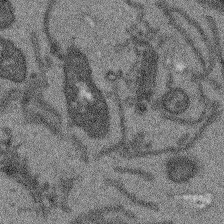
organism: Arabidopsis thaliana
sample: Root tip